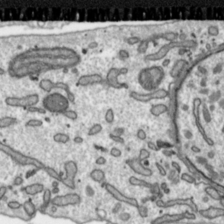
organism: Toxoplasma gondii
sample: Parasites in a vacuole inside a host cell